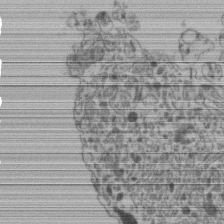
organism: Human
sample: Retinal organoid Rod and Cone cells